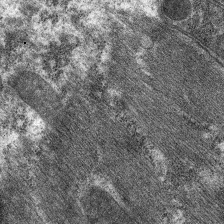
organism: C. elegans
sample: Pharynx